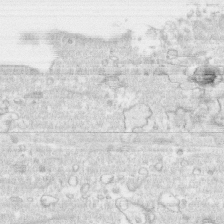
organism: Human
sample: CRL-1474